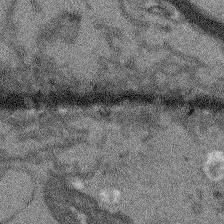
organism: Arabidopsis thaliana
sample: Root tip